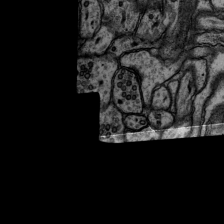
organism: Rat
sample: Hippocampus